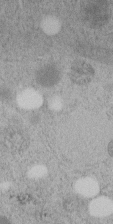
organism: C. elegans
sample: C. elegans embryo early stage